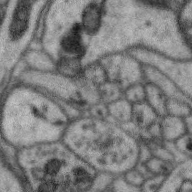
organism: Zebra finch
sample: Brain